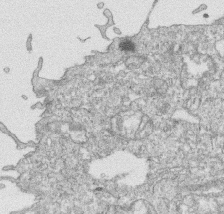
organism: Human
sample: HeLa cell HIV synapse